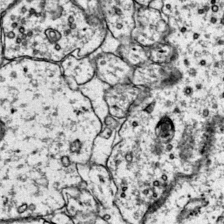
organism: Mouse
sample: Primary visual cortex